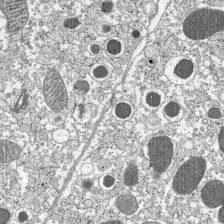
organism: C57BL Mouse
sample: Pancreatic islet